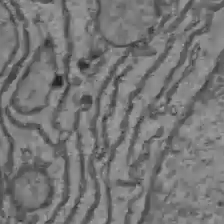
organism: C57BL Mouse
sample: Liver